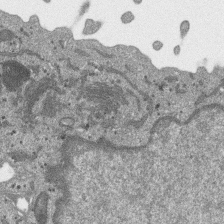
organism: Human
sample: Lung epithelial cells infected with SARS-CoV-2